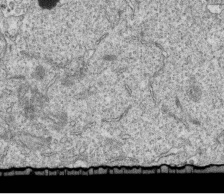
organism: Human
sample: HeLa cell HIV synapse